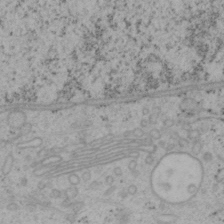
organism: Human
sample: HeLa cells